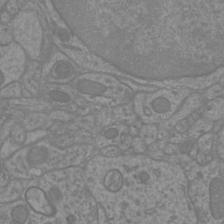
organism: Mouse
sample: Cortical neurons